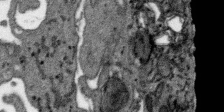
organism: Human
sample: Lung epithelial cells, uninfected (mock) control